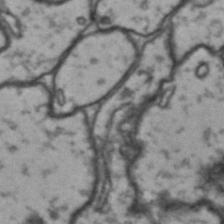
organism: Drosophila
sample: Brain